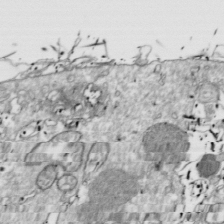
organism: Drosophila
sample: Cell division; meiosis; drosophila spermatocytes